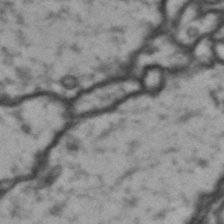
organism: Drosophila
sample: Brain